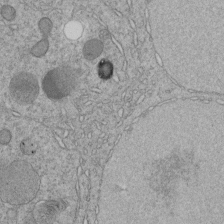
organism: C. elegans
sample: C. elegans embryo early stage